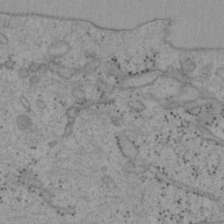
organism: Human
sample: HeLa cells